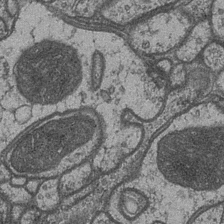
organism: Drosophila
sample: Optic medulla